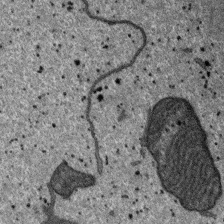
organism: Human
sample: Lung epithelial cells, uninfected (mock) control